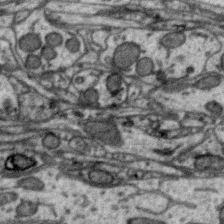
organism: Zebra finch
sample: Brain